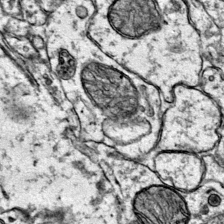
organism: Mouse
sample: Primary visual cortex